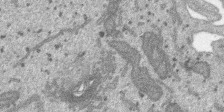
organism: Human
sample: Lung epithelial cells infected with SARS-CoV-2